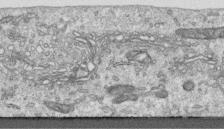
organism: Human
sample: Centriole in RPE cells